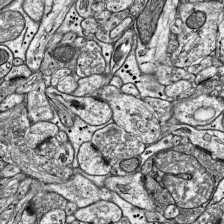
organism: Mouse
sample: Visual Cortex